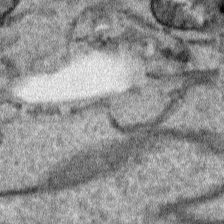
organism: Human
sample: Mitochondria in HCT116 cells